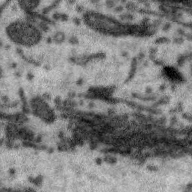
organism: Zebra finch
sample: Brain